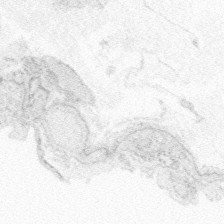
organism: Zebrafish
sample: Whole-Brain